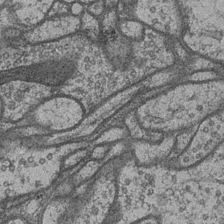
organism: Drosophila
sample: Optic medulla